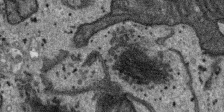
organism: Human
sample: Lung epithelial cells, uninfected (mock) control